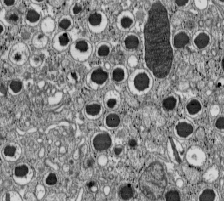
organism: C57BL Mouse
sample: Pancreatic islet